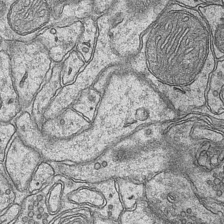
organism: Mouse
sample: CA1 Hippocampus